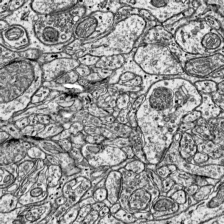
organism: Mouse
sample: Visual Cortex